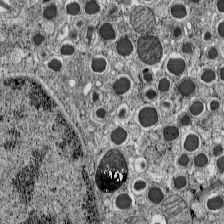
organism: C57BL Mouse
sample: Pancreatic islet